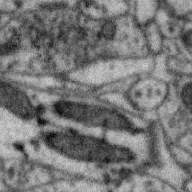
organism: Zebra finch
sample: Brain